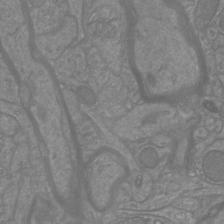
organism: Mouse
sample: Cortical neurons